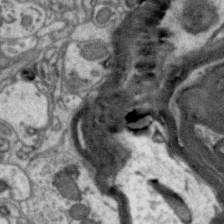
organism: Zebra finch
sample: Brain